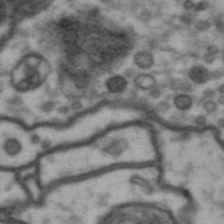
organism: Drosophila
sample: Brain